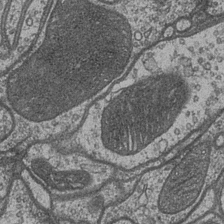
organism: Drosophila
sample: Optic medulla